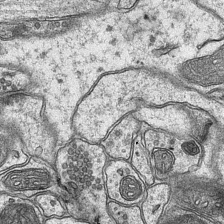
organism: Mouse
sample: CA1 Hippocampus